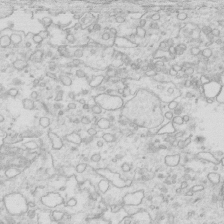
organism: Mouse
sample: Multiciliated cells